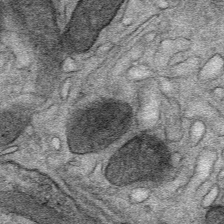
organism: Mouse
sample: Mouse Salivary gland